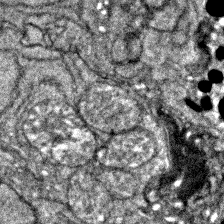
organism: Zebrafish